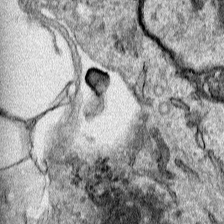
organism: Human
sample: Mitochondria in HCT116 cells